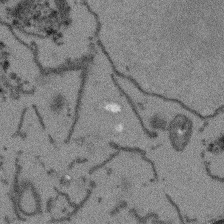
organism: Arabidopsis thaliana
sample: Root tip